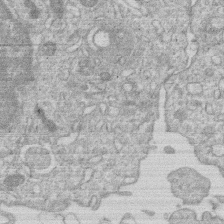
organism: Human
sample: Macrophage cells